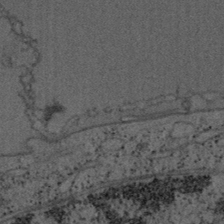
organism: Human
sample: HeLa cells